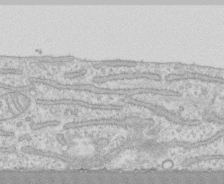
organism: Human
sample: CRL-1474